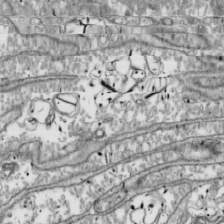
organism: Drosophila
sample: Cell division; meiosis; drosophila spermatocytes